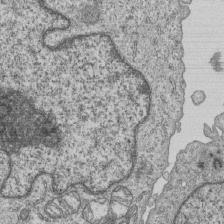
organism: Human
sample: MDA-MB-231 cells